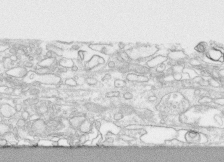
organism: Human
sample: CRL-1474